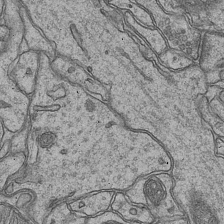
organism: Mouse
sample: CA1 Hippocampus